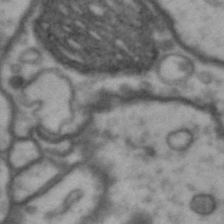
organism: Drosophila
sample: Brain